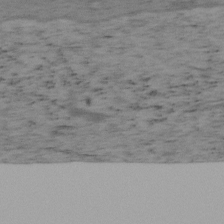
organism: Mouse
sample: OT-I killer T cells with ID8 ovarian cancer cells